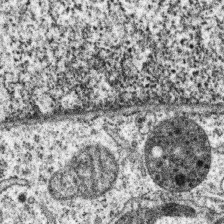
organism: Human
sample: HeLa cells